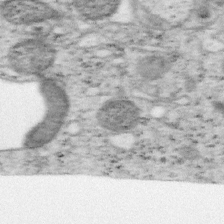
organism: Mouse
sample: OT-I killer T cells with ID8 ovarian cancer cells